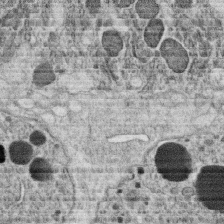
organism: C. elegans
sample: C. elegans oocyte; sperm cells